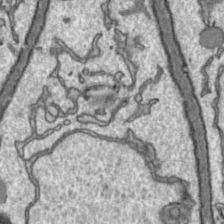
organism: Toxoplasma gondii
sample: Parasites in a vacuole inside a host cell